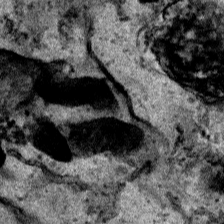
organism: Human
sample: Mitochondria in HCT116 cells